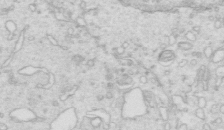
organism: Mouse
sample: Multiciliated cells